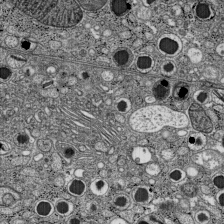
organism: C57BL Mouse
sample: Pancreatic islet